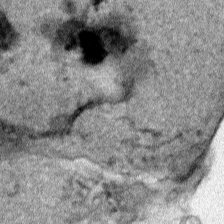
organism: Human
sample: Mitochondria in HCT116 cells